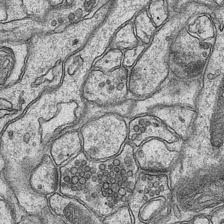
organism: Mouse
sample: CA1 Hippocampus